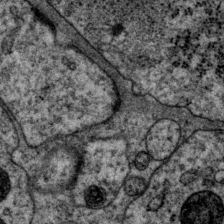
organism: P. pacificus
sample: Pharynx